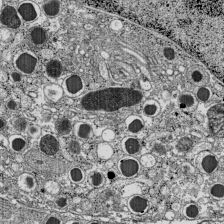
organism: C57BL Mouse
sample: Pancreatic islet